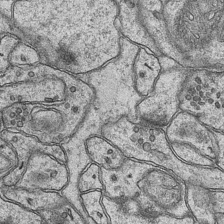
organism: Mouse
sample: CA1 Hippocampus